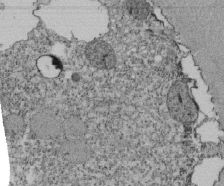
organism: Tetrahymena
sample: Cilia in tetrahymena